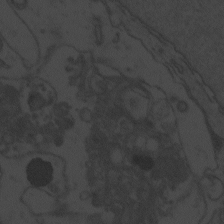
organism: Zebrafish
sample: Macrophage infected with Toxoplasma gondii